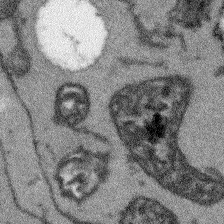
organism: Arabidopsis thaliana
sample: Root tip